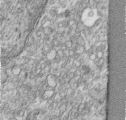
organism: Human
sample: Centriole in RPE cells